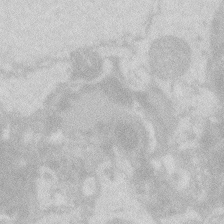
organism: Zebrafish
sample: Macrophage